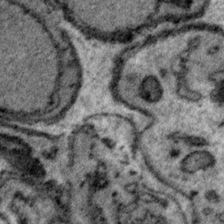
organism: Plasmodium falciparum